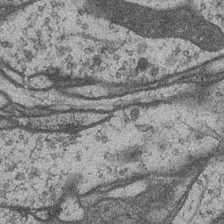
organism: Drosophila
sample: Optic medulla